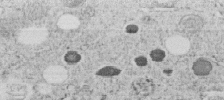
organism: C. elegans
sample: C. elegans embryo early stage